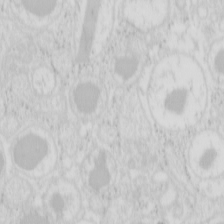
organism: Mouse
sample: Pancreas